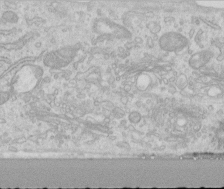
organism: Human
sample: Centriole in RPE cells